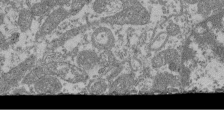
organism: Mouse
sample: Glomerulus